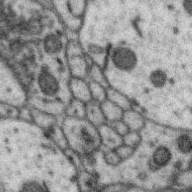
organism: Zebra finch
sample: Brain